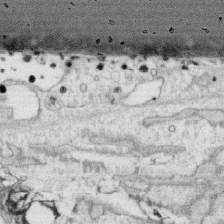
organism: Human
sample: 1205lu cells